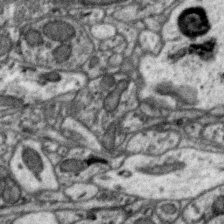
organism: Zebra finch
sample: Brain